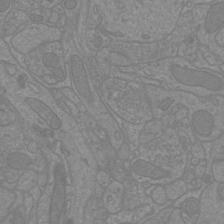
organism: Mouse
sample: Cortical neurons